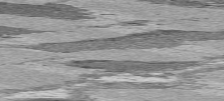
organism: C57BL Mouse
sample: Heart